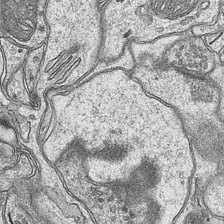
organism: Mouse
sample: CA1 Hippocampus